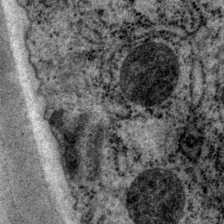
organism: P. pacificus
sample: Pharynx